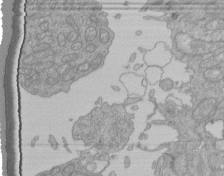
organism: Human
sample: Retinal organoid Rod and Cone cells